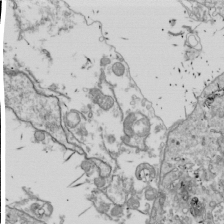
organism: Drosophila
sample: Cell division; meiosis; drosophila spermatocytes